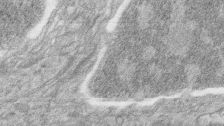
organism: Zebrafish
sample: synaptic ribbons in rod cells and cone cells